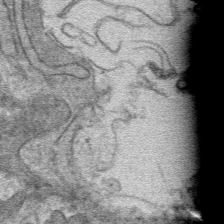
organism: Mouse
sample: Mouse hepatocytes